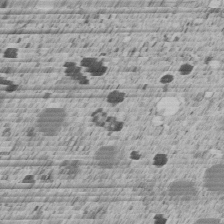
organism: C. elegans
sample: C. elegans embryo early stage